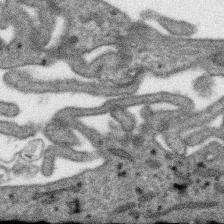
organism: Human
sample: Lung epithelial cells infected with SARS-CoV-2